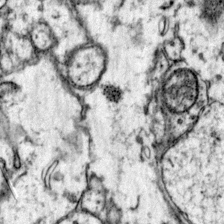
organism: Mouse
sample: Primary visual cortex